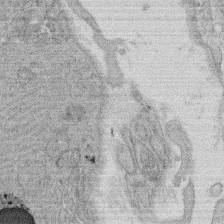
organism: Rat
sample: Salivary granule